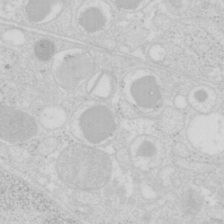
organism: Mouse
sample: Pancreas